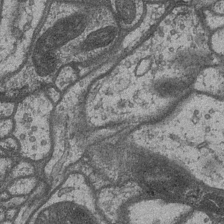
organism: Drosophila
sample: Optic medulla